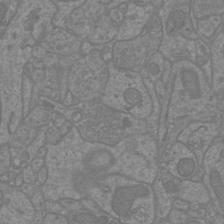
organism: Mouse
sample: Cortical neurons